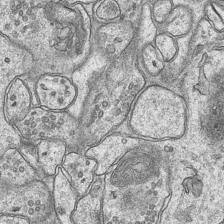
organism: Mouse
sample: CA1 Hippocampus